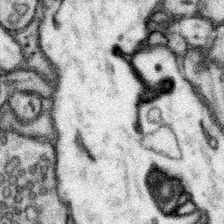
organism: Mouse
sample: Somatosensory cortex neuropil